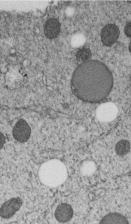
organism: C. elegans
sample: C. elegans embryo early stage